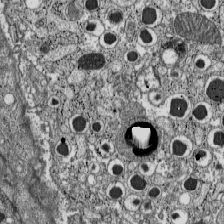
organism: C57BL Mouse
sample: Pancreatic islet